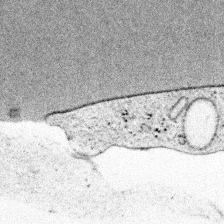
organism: Human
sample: HeLa cells